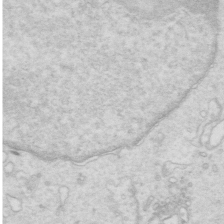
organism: Mouse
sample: Multiciliated cells